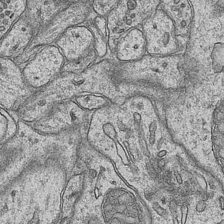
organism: Mouse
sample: CA1 Hippocampus